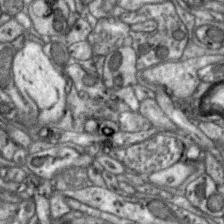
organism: Zebra finch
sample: Brain